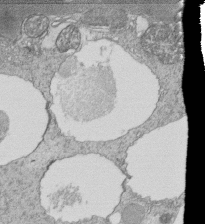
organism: Tetrahymena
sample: Cilia in tetrahymena